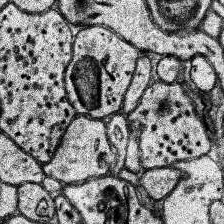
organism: Human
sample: Temporal Lobe